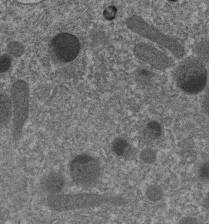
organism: C. elegans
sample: C. elegans embryo early stage